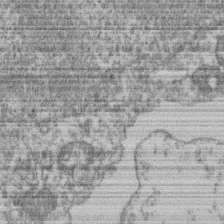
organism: Mouse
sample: T cell stromal cell synapse